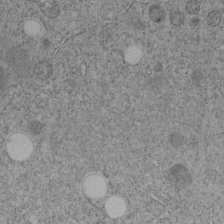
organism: C. elegans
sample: C. elegans embryo early stage